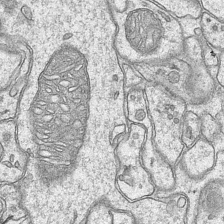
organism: Mouse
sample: CA1 Hippocampus